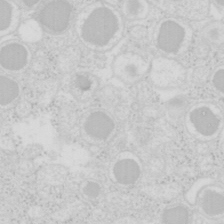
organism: Mouse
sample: Pancreas